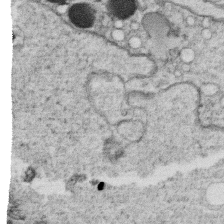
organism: C. elegans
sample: C. elegans oocyte; sperm cells